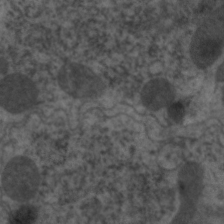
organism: C. elegans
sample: Pharynx